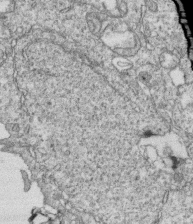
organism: Human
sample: HeLa cell HIV synapse